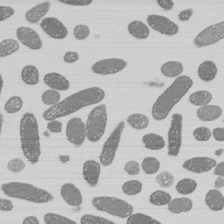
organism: E. coli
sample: Bacterial nucleoid